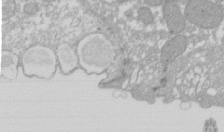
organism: Xenopus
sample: Cilia; centrioles in frog embryo cells